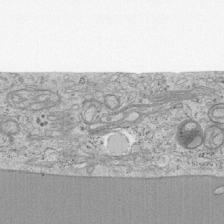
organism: Human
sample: HeLa cells